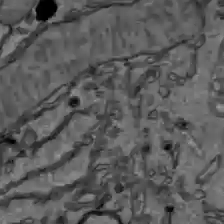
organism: C57BL Mouse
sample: Liver